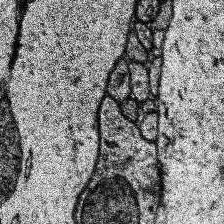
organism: Human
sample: Temporal Lobe